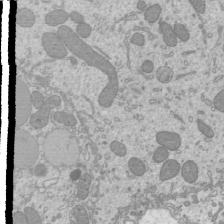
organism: Mouse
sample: Cilia; mouse epididymis